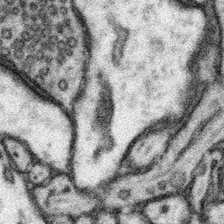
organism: Mouse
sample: Somatosensory cortex neuropil